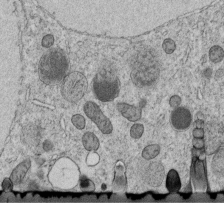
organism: C. elegans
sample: C. elegans embryo early stage